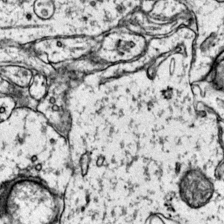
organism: Mouse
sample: Primary visual cortex